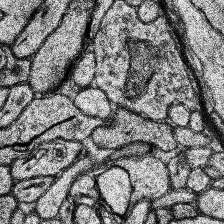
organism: Human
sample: Temporal Lobe